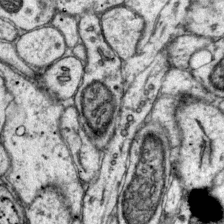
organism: Mouse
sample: Primary visual cortex